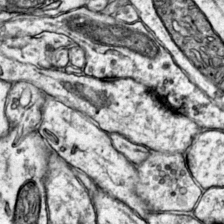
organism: Mouse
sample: Primary visual cortex